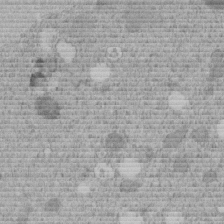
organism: C. elegans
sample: C. elegans embryo early stage